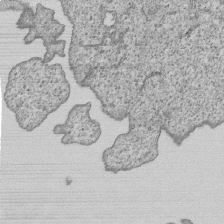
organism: Human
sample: MDA-MB-231 cells